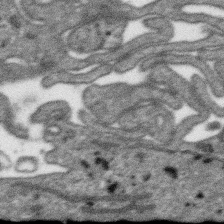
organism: Human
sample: Lung epithelial cells infected with SARS-CoV-2